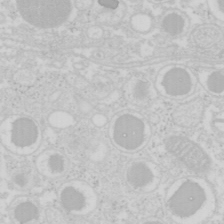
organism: Mouse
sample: Pancreas